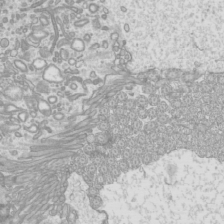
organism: Mouse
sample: Cilia; mouse epididymis